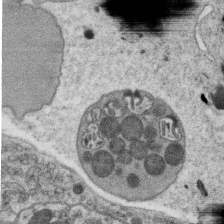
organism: C. elegans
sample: C. elegans oocyte; sperm cells